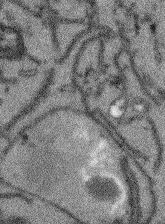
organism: Arabidopsis thaliana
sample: Root tip